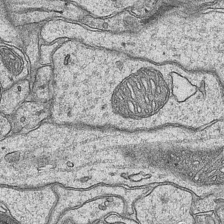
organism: Mouse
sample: CA1 Hippocampus